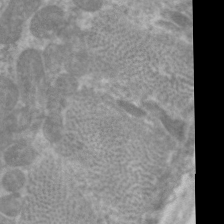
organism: C. elegans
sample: Pharynx